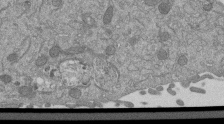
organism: Mouse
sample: ED-1 cell nuclei; centrioles